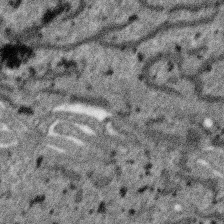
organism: Human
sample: Lung epithelial cells infected with SARS-CoV-2